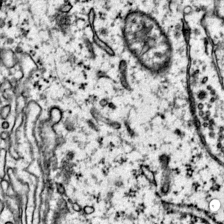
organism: Mouse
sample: Primary visual cortex